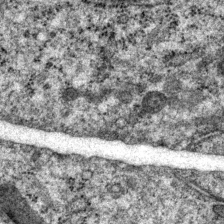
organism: P. pacificus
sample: Pharynx